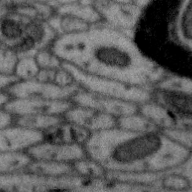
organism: Zebra finch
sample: Brain